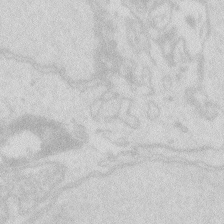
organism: Zebrafish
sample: Macrophage